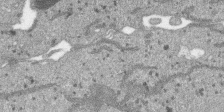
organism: Human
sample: Lung epithelial cells infected with SARS-CoV-2